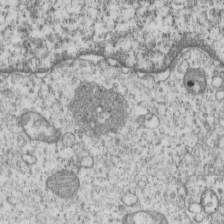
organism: Human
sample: MDA-MB-231 cells